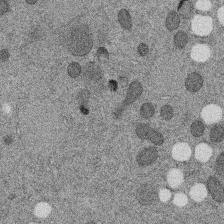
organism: C. elegans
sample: C. elegans embryo early stage